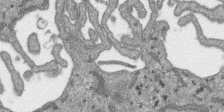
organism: Human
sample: Lung epithelial cells infected with SARS-CoV-2